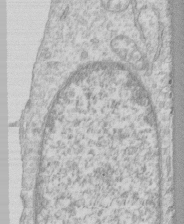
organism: Human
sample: CRL-1474